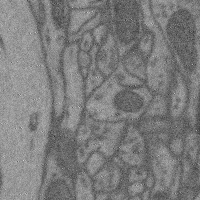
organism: Mouse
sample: Cerebral cortex